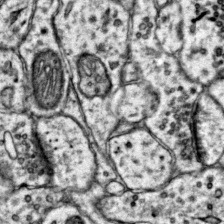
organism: Mouse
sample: Primary visual cortex